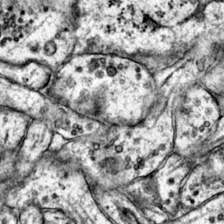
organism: Mouse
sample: Primary visual cortex